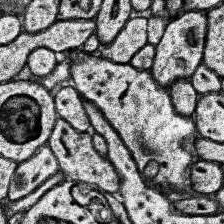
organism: Human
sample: Temporal Lobe